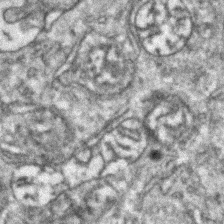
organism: Zebrafish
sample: Zebrafish embryo